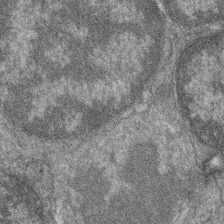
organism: Zebrafish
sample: Cilia; retinal pigment epithelium